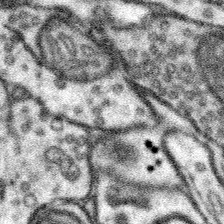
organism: Mouse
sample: Somatosensory cortex neuropil